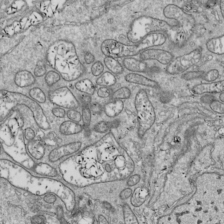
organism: Drosophila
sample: Cell division; meiosis; drosophila spermatocytes